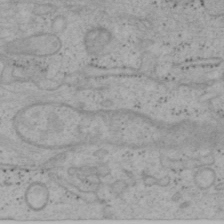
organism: Human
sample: HeLa cells